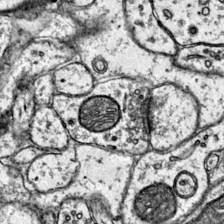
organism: Mouse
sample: Primary visual cortex